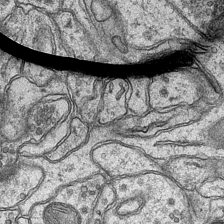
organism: Mouse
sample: CA1 Hippocampus